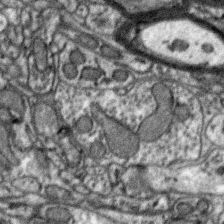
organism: Zebra finch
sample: Brain